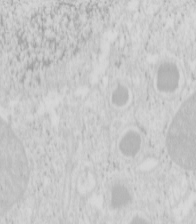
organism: Mouse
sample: Pancreas